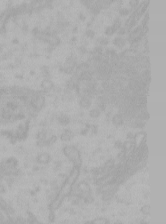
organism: Mouse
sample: Choroid plexus